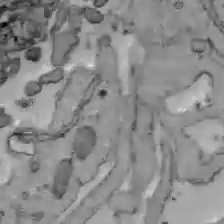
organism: C57BL Mouse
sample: Liver